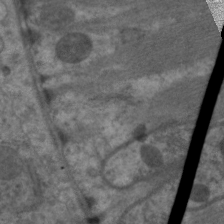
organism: C. elegans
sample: Pharynx